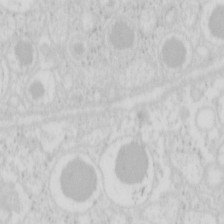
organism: Mouse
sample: Pancreas